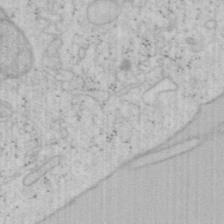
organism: Human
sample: HeLa cells